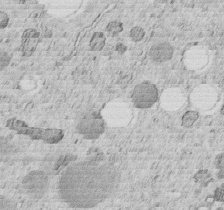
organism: C. elegans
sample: C. elegans embryo early stage